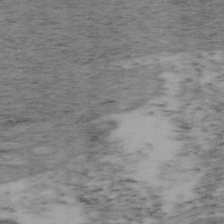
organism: Mouse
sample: OT-I killer T cells with ID8 ovarian cancer cells